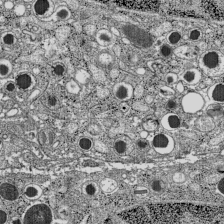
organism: C57BL Mouse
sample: Pancreatic islet